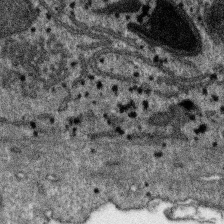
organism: Human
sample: Lung epithelial cells infected with SARS-CoV-2